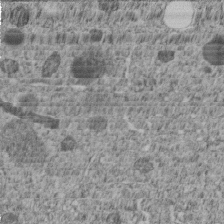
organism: C. elegans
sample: C. elegans embryo early stage